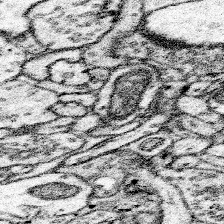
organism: Mouse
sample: Somatosensory cortex neuropil